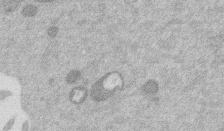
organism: Mouse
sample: Dividing mouse embryo 1 cell stage